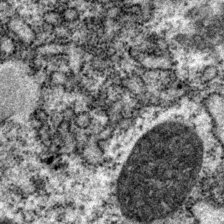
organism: P. pacificus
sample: Pharynx